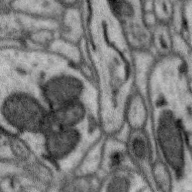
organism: Zebra finch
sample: Brain